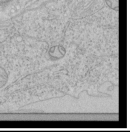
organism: Human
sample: Mitochondria in HCT116 cells